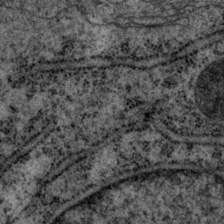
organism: P. pacificus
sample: Pharynx